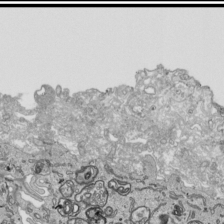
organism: Human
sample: Mitochondria in HCT116 cells